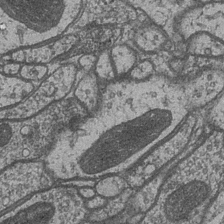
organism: Drosophila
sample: Optic medulla